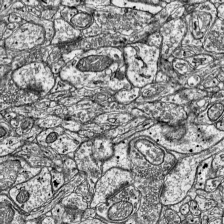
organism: Mouse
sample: Visual Cortex